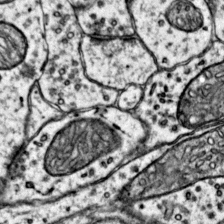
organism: Mouse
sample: Primary visual cortex